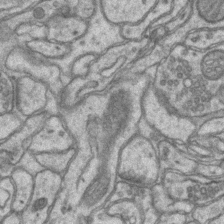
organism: Mouse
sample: CA1 Hippocampus